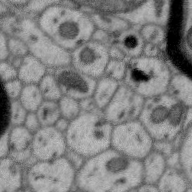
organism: Zebra finch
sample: Brain